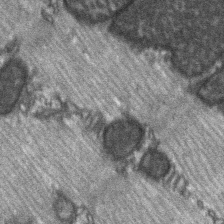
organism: C57BL Mouse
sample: Soleus